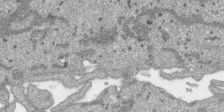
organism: Human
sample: Lung epithelial cells infected with SARS-CoV-2